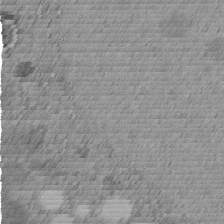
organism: C. elegans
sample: C. elegans embryo early stage